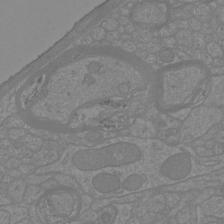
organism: Mouse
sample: Cortical neurons